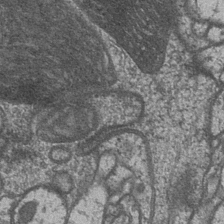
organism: Drosophila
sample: Optic medulla